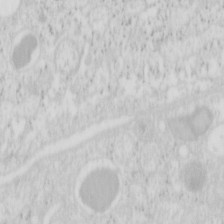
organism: Mouse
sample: Pancreas